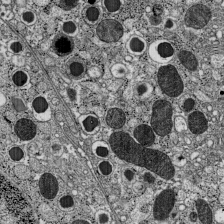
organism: C57BL Mouse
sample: Pancreatic islet